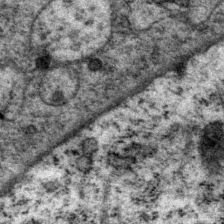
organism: P. pacificus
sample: Pharynx